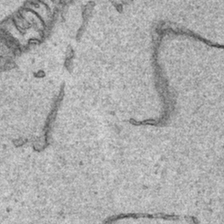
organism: Human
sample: Mitochondria in HCT116 cells